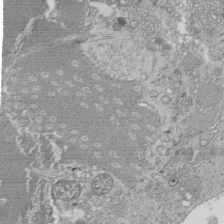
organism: Tetrahymena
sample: Cilia in tetrahymena